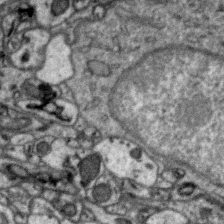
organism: Zebra finch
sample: Brain